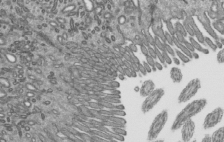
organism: Mouse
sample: Mouse epididymis efferent ductule cilia